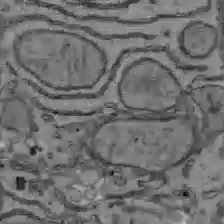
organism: C57BL Mouse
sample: Liver